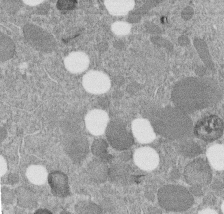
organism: C. elegans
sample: C. elegans embryo early stage